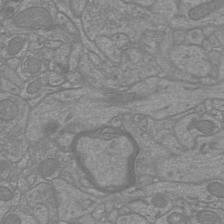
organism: Mouse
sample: Cortical neurons